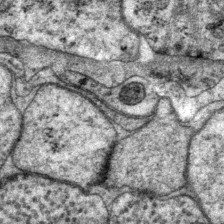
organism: P. pacificus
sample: Pharynx